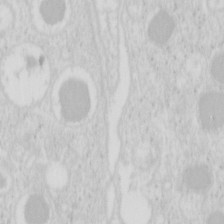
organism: Mouse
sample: Pancreas